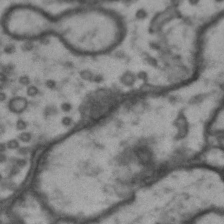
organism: Drosophila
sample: Brain